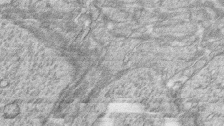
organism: Zebrafish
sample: synaptic ribbons in rod cells and cone cells